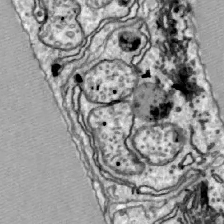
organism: Zebrafish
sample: Actinotrichia fibers